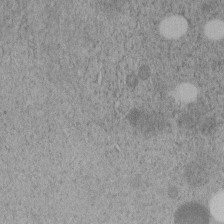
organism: C. elegans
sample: C. elegans embryo early stage